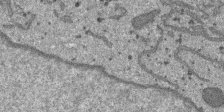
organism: Human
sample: Lung epithelial cells infected with SARS-CoV-2